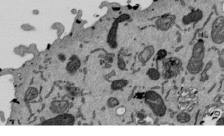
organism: Mouse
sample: ED-1 cell nuclei; centrioles